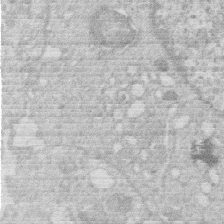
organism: Human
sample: Macrophage cells